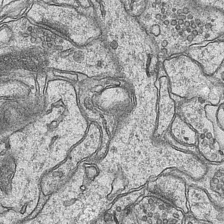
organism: Mouse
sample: CA1 Hippocampus